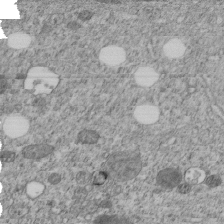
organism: C. elegans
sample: C. elegans embryo early stage